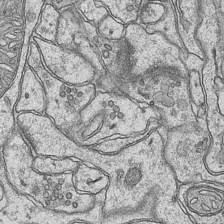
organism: Mouse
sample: CA1 Hippocampus